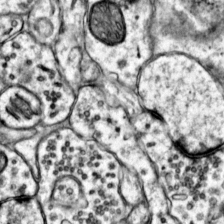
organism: Mouse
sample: Primary visual cortex